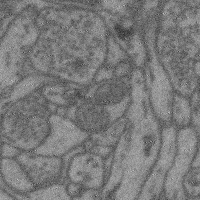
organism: Mouse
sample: Cerebral cortex